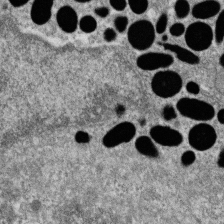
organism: Zebrafish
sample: Cilia; retinal pigment epithelium